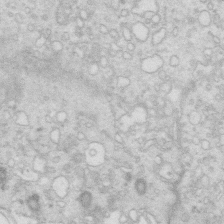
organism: Mouse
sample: Multiciliated cells